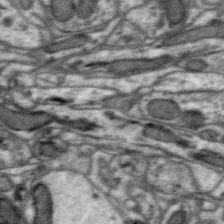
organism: Zebra finch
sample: Brain